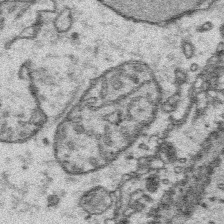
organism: Platynereis dumerilii